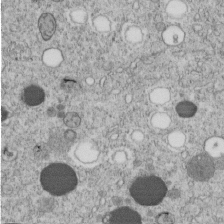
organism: C. elegans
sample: C. elegans embryo early stage